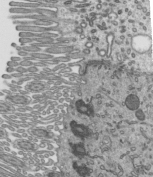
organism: Mouse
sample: Mouse epididymis efferent ductule cilia